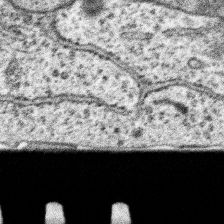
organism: Human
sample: HeLa cells